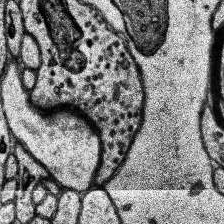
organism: Human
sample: Temporal Lobe